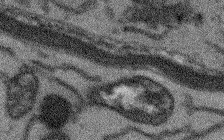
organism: Arabidopsis thaliana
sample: Root tip